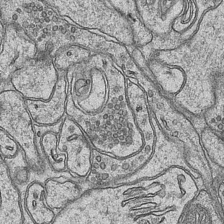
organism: Mouse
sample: CA1 Hippocampus